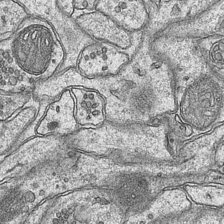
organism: Mouse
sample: CA1 Hippocampus